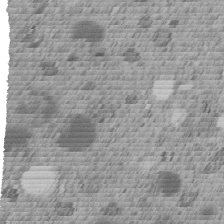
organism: C. elegans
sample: C. elegans embryo early stage